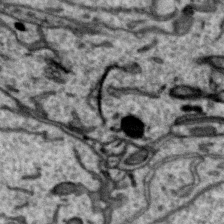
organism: Zebra finch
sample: Brain